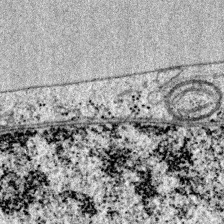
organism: Human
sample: HeLa cells